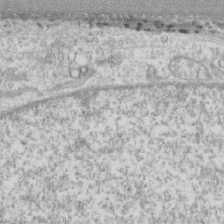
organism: Human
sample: CRL-1474